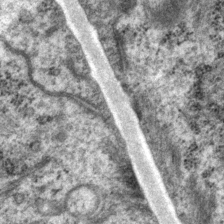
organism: P. pacificus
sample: Pharynx